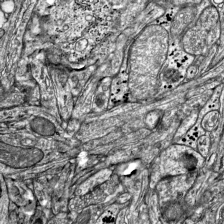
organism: Mouse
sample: Visual Cortex